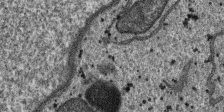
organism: Human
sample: Lung epithelial cells infected with SARS-CoV-2